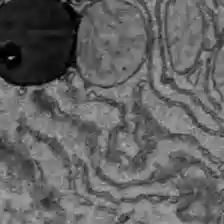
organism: C57BL Mouse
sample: Liver